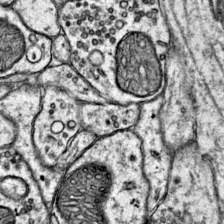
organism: Mouse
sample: Primary visual cortex